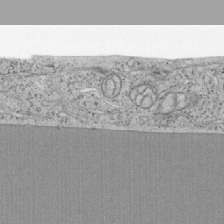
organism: Human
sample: HeLa cells